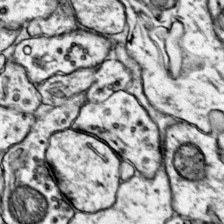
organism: Mouse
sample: Primary visual cortex